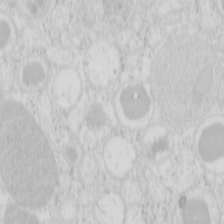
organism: Mouse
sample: Pancreas